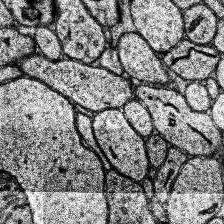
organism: Human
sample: Temporal Lobe